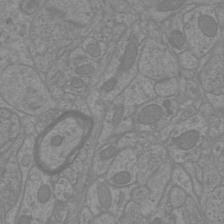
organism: Mouse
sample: Cortical neurons